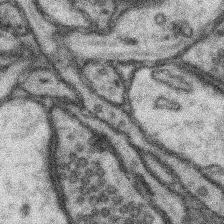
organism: Mouse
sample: Somatosensory cortex neuropil